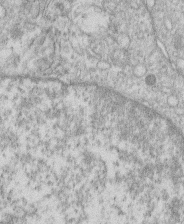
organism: Human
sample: Macrophage cells